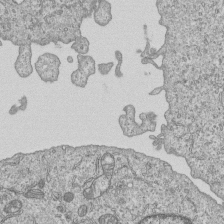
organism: Human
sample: MDA-MB-231 cells